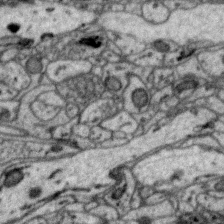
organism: Zebra finch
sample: Brain